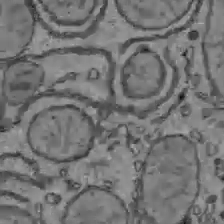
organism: C57BL Mouse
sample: Liver